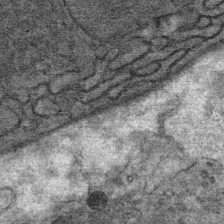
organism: Mouse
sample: Mouse Salivary gland